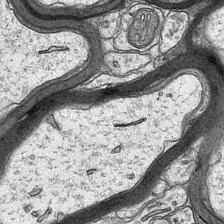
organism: Mouse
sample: CA1 Hippocampus